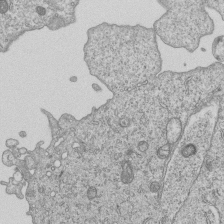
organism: Human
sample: MDA-MB-231 cells